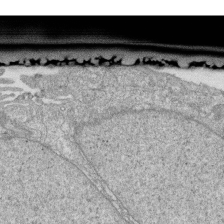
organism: Human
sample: HeLa cell HIV synapse